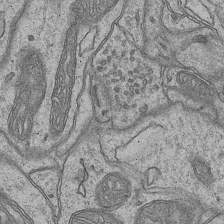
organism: Mouse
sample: CA1 Hippocampus